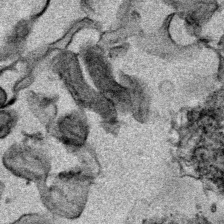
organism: Mouse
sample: Cancer cell death in ED-1 cells